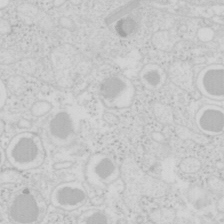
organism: Mouse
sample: Pancreas